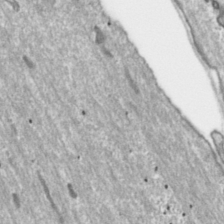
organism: Toxoplasma gondii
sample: Parasites in a vacuole inside a host cell